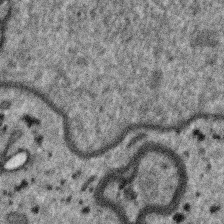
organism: Human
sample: Lung epithelial cells infected with SARS-CoV-2